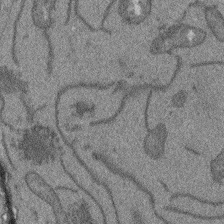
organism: Arabidopsis thaliana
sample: Root tip